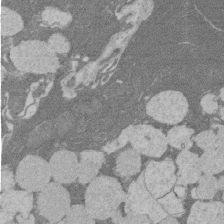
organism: Rat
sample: Salivary granule